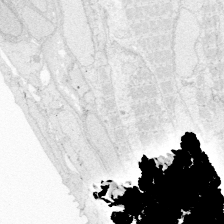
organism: Zebrafish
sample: Whole-Brain